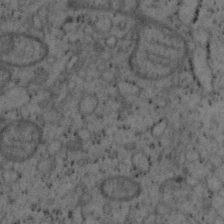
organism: Human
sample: HeLa cells